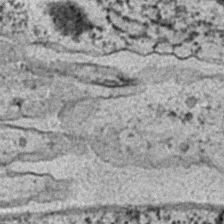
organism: C. elegans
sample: C. elegans embryo